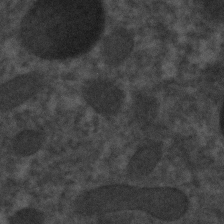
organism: C. elegans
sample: C. elegans embryo